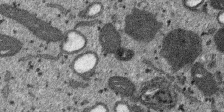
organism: Human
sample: Lung epithelial cells infected with SARS-CoV-2